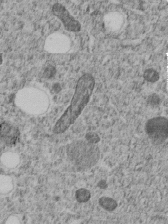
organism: C. elegans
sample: C. elegans embryo early stage